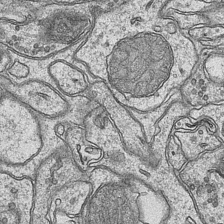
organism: Mouse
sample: CA1 Hippocampus